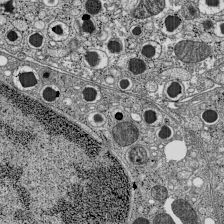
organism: C57BL Mouse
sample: Pancreatic islet